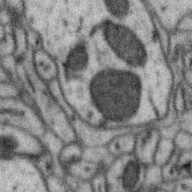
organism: Zebra finch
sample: Brain